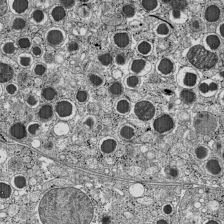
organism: C57BL Mouse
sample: Pancreatic islet